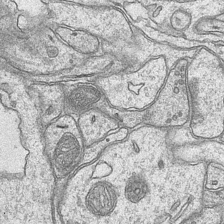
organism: Mouse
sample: CA1 Hippocampus